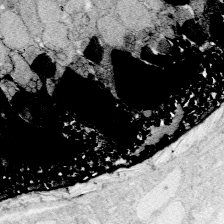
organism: Zebrafish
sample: Whole-Brain